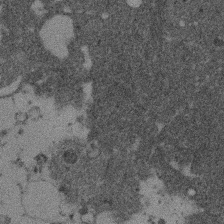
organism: Mouse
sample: Dividing mouse embryo 1 cell stage